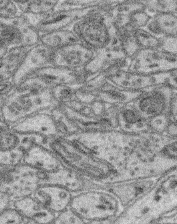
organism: Mouse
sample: Retina